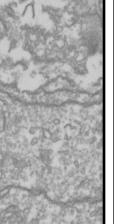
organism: Drosophila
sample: Cell division; meiosis; drosophila spermatocytes